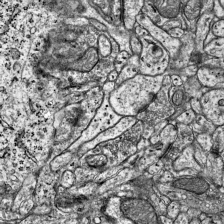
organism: Mouse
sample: Visual Cortex